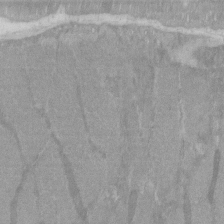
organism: C57BL Mouse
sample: Tibialis anterior muscle cell